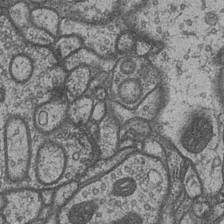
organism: Drosophila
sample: Optic medulla